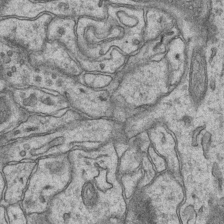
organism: Mouse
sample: CA1 Hippocampus